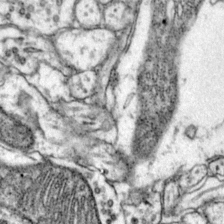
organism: Mouse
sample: Primary visual cortex